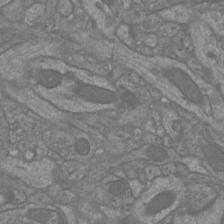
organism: Mouse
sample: Cortical neurons